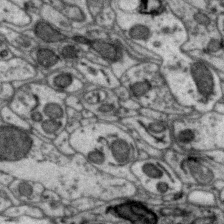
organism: Zebra finch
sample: Brain